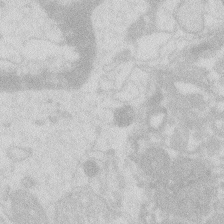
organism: Zebrafish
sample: Macrophage